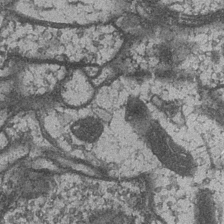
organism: Drosophila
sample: Optic medulla